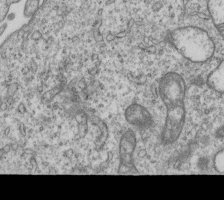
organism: Human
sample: MDA-MB-231 cells